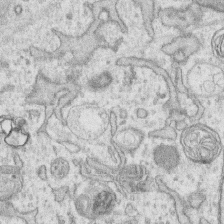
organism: Human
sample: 1205lu cells